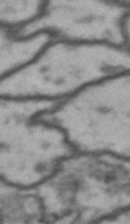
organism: Drosophila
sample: Brain